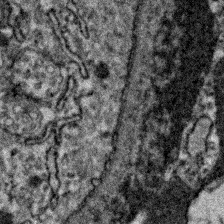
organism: Zebrafish